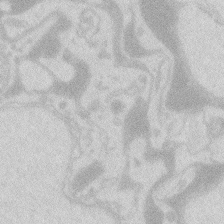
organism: Zebrafish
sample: Macrophage